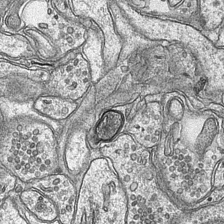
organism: Mouse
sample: CA1 Hippocampus